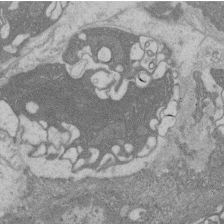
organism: Rat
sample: Salivary granule